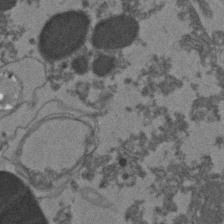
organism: Zebrafish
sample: Zebrafish embryo